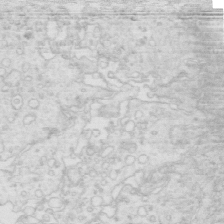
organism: Mouse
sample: Multiciliated cells